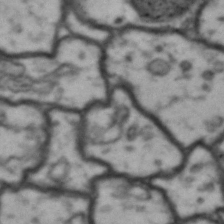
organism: Drosophila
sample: Brain